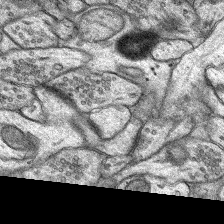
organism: Rat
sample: Hippocampus